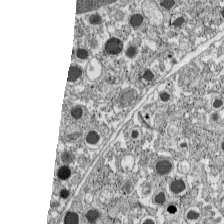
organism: C57BL Mouse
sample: Pancreatic islet